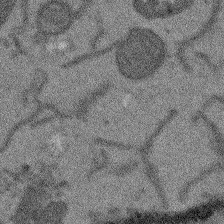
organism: Arabidopsis thaliana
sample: Root tip